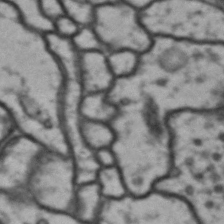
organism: Drosophila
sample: Brain